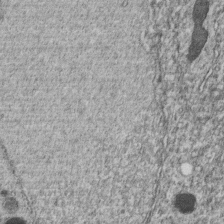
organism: C. elegans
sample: C. elegans embryo early stage